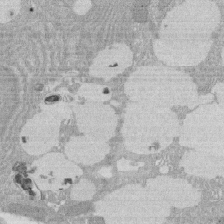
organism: Rat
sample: Salivary granule